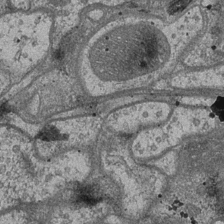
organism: Drosophila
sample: Optic medulla